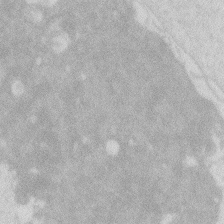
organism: Zebrafish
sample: Macrophage